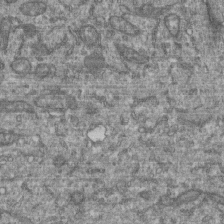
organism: Human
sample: Retinal organoid Rod and Cone cells